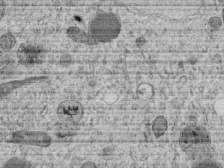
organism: C. elegans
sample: C. elegans embryo early stage